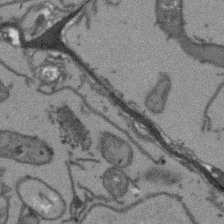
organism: Arabidopsis thaliana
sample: Root tip